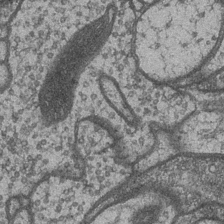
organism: Drosophila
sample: Optic medulla